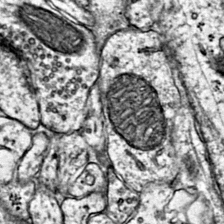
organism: Mouse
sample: Primary visual cortex